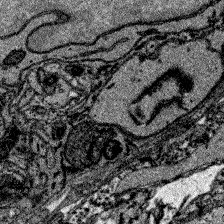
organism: Zebrafish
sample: Larval olfactory bulb